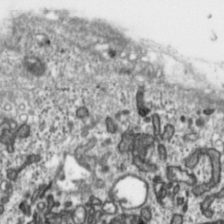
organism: Toxoplasma gondii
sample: Parasites in a vacuole inside a host cell